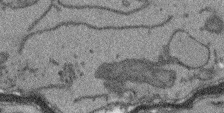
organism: Arabidopsis thaliana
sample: Root tip